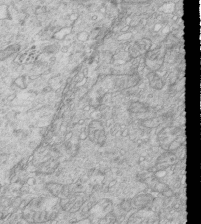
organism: Mouse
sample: Multiciliated cells